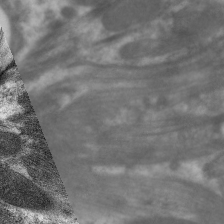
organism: C. elegans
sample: Pharynx